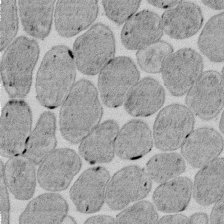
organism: E. coli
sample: Bacterial nucleoid